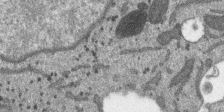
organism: Human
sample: Lung epithelial cells infected with SARS-CoV-2